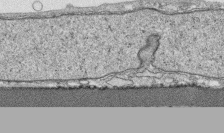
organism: Human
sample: CRL-1474